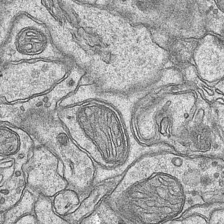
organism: Mouse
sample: CA1 Hippocampus